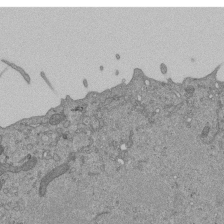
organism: Mouse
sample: ED-1 cell nuclei; centrioles